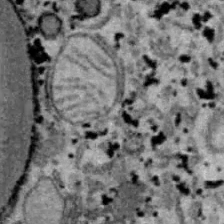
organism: Mouse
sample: Liver from an obese (ob/ob) mouse